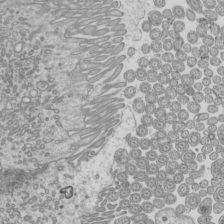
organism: Mouse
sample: Cilia; mouse epididymis